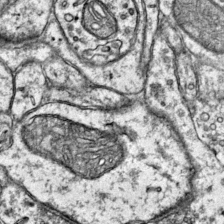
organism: Mouse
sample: Primary visual cortex